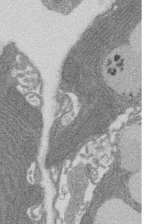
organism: Rat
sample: Salivary granule